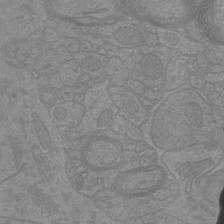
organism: Mouse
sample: Cortical neurons